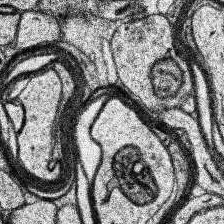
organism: Human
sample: Temporal Lobe